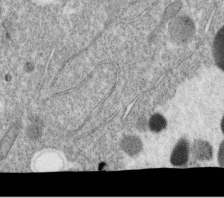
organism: C. elegans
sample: C. elegans oocyte; sperm cells